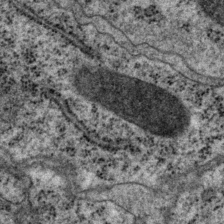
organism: P. pacificus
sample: Pharynx